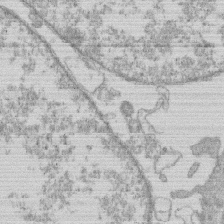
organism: Human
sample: Macrophage cells